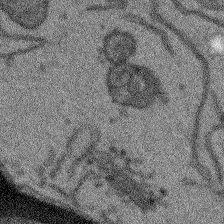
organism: Arabidopsis thaliana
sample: Root tip